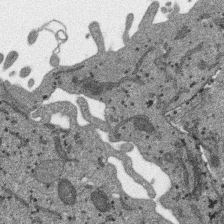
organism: Human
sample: Lung epithelial cells infected with SARS-CoV-2